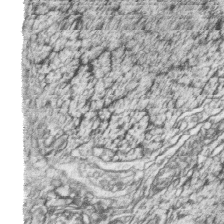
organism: Zebrafish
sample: synaptic ribbons in rod cells and cone cells